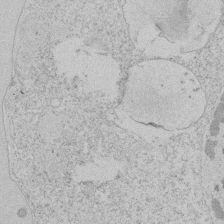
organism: Tetrahymena